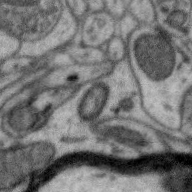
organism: Zebra finch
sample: Brain